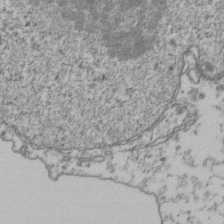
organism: Human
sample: Activated Jurkat CD4+ T cells